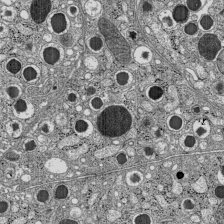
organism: C57BL Mouse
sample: Pancreatic islet